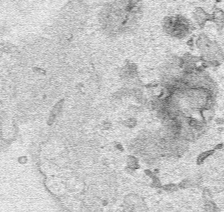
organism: Human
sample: Mitochondria in HCT116 cells